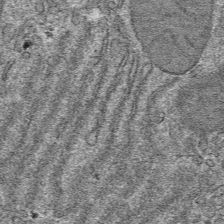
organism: Mouse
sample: Mouse hepatocytes